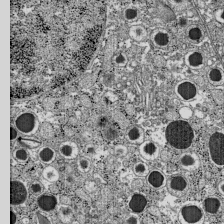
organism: C57BL Mouse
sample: Pancreatic islet